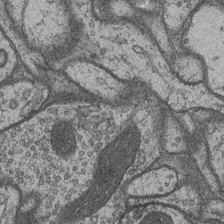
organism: Drosophila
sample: Optic medulla